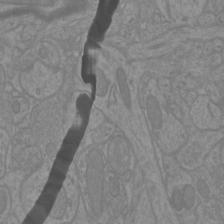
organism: Mouse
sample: Cortical neurons